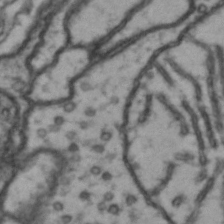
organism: Drosophila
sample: Brain